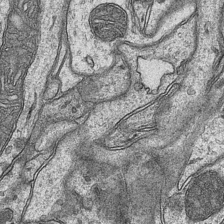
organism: Mouse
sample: CA1 Hippocampus